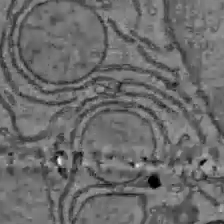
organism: C57BL Mouse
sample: Liver